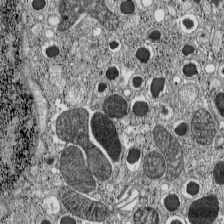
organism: C57BL Mouse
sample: Pancreatic islet